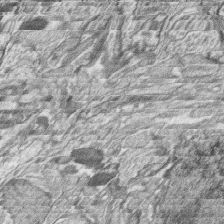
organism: Zebrafish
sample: synaptic ribbons in rod cells and cone cells